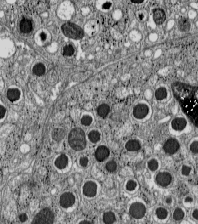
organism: C57BL Mouse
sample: Pancreatic islet